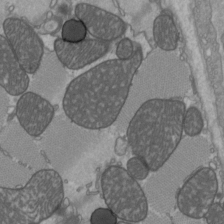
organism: C57BL Mouse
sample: Heart